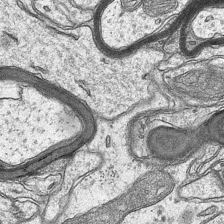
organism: Mouse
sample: CA1 Hippocampus